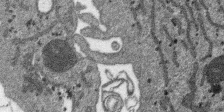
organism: Human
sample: Lung epithelial cells infected with SARS-CoV-2